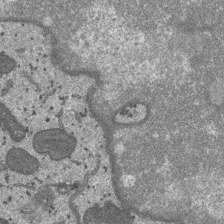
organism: Human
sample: Lung epithelial cells infected with SARS-CoV-2